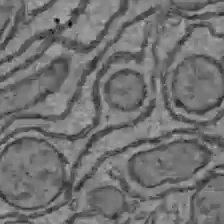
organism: C57BL Mouse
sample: Liver